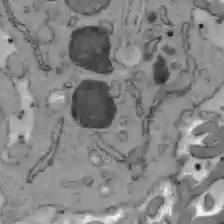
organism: C57BL Mouse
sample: Liver